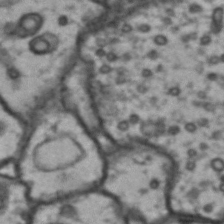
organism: Drosophila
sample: Brain